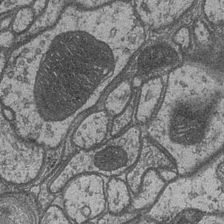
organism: Drosophila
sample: Optic medulla